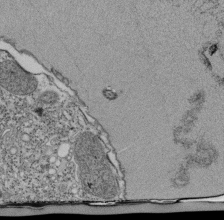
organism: Tetrahymena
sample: Cilia in tetrahymena